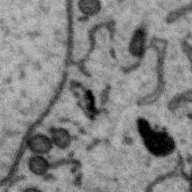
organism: Zebra finch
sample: Brain